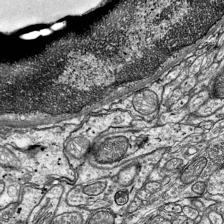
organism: Mouse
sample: Visual Cortex